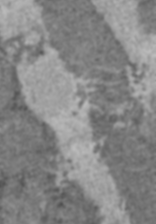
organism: C57BL Mouse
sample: Heart